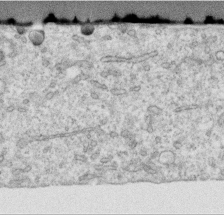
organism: Human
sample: Centriole in RPE cells